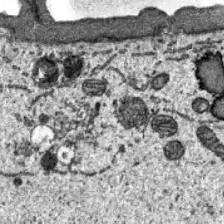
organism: Human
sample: HeLa cells